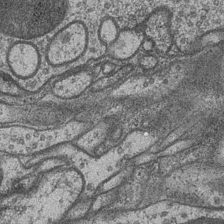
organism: Drosophila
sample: Optic medulla